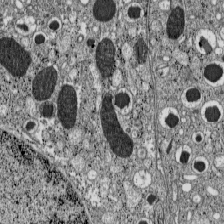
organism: C57BL Mouse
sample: Pancreatic islet